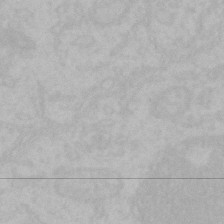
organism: Mouse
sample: Choroid plexus